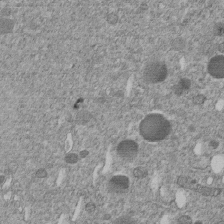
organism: C. elegans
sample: C. elegans embryo early stage